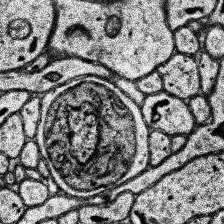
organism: Human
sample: Temporal Lobe